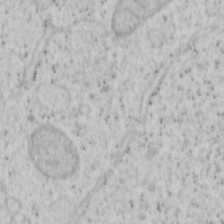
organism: Human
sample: HeLa cells